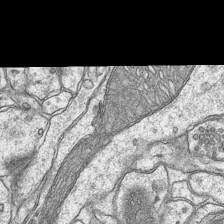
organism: Mouse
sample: CA1 Hippocampus